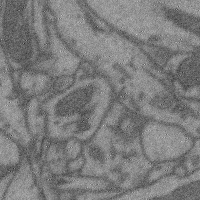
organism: Mouse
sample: Cerebral cortex